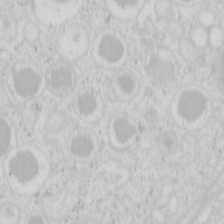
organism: Mouse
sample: Pancreas